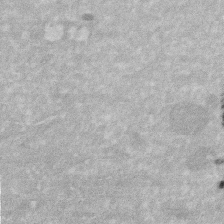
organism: Human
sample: HIV infected U937 cells